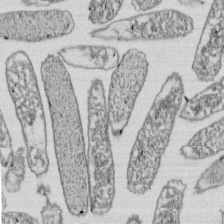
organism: E. coli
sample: Bacterial nucleoid